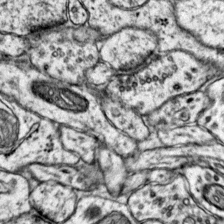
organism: Mouse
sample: Primary visual cortex